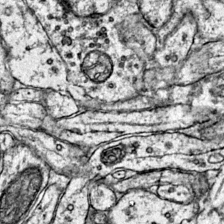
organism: Mouse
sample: Primary visual cortex